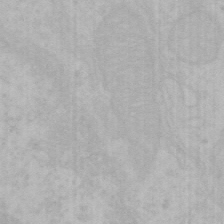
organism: Mouse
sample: Choroid plexus